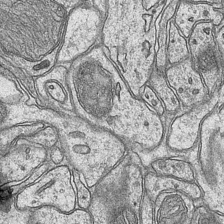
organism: Mouse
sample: CA1 Hippocampus